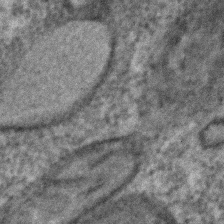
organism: C. elegans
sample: C. elegans embryo